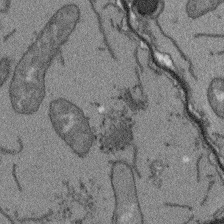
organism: Arabidopsis thaliana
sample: Root tip